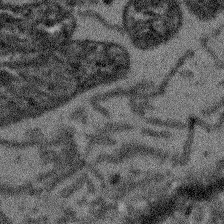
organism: Arabidopsis thaliana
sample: Root tip